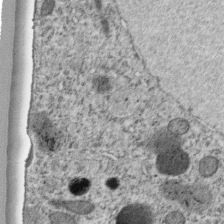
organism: C. elegans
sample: C. elegans embryo early stage